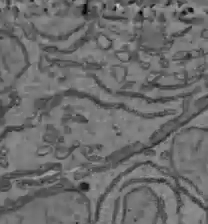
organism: C57BL Mouse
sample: Liver